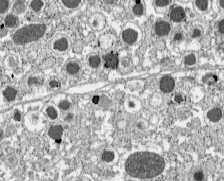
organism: C57BL Mouse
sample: Pancreatic islet